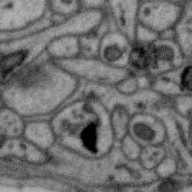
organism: Zebra finch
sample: Brain